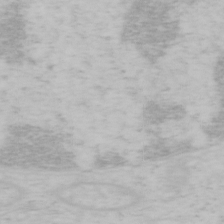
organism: Mouse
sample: OT-I killer T cells with ID8 ovarian cancer cells